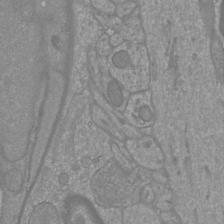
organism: Mouse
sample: Cortical neurons